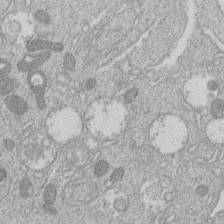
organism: Human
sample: Macrophage cells